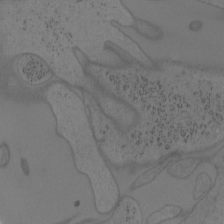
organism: Mouse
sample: OT-I killer T cells with ID8 ovarian cancer cells